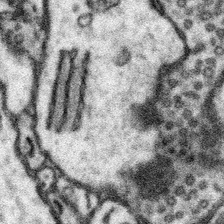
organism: Mouse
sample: Somatosensory cortex neuropil